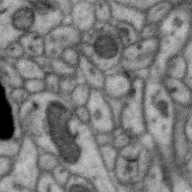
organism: Zebra finch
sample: Brain